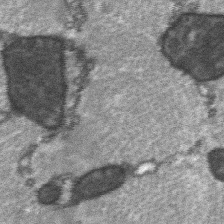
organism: C57BL Mouse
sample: Soleus